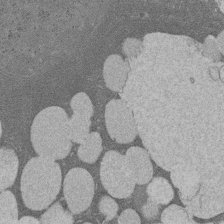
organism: Rat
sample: Salivary granule